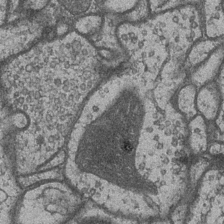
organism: Drosophila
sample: Optic medulla